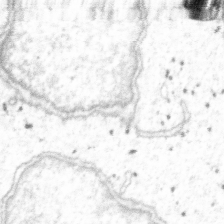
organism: Human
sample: HeLa cells